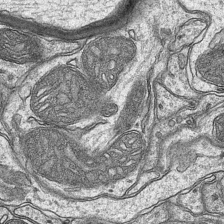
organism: Mouse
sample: CA1 Hippocampus